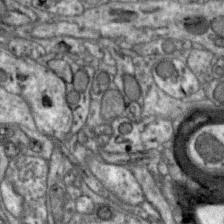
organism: Zebra finch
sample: Brain